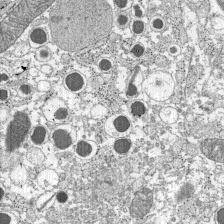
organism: C57BL Mouse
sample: Pancreatic islet